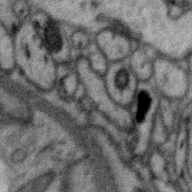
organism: Zebra finch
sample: Brain